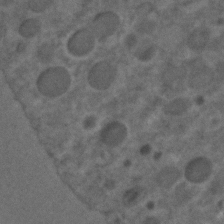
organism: C. elegans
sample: C. elegans embryo